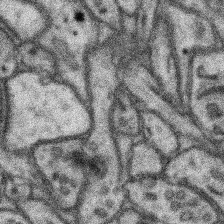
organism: Mouse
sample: Somatosensory cortex neuropil